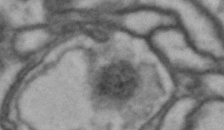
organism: Drosophila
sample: Brain